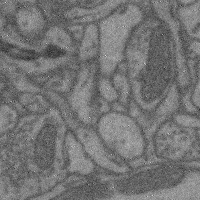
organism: Mouse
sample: Cerebral cortex